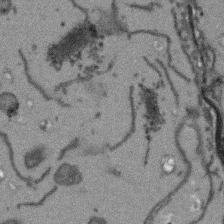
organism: Arabidopsis thaliana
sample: Root tip